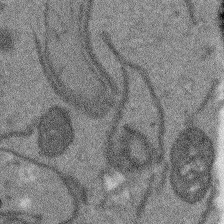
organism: Arabidopsis thaliana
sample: Root tip